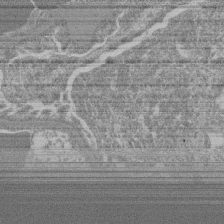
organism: Mouse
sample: Glomerulus